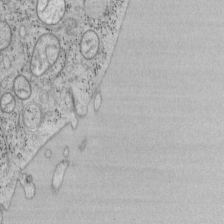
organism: Mouse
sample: OT-I killer T cells with ID8 ovarian cancer cells